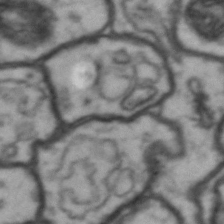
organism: Drosophila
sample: Brain